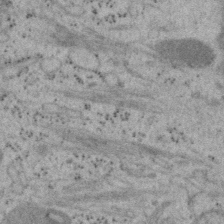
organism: Human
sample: HeLa cells